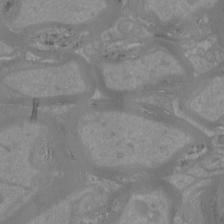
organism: Mouse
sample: Cortical neurons